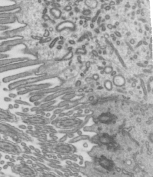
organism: Mouse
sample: Mouse epididymis efferent ductule cilia